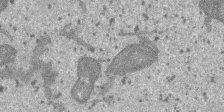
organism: Human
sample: Lung epithelial cells infected with SARS-CoV-2